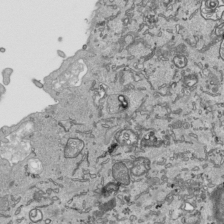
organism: Human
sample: Mitochondria in HCT116 cells